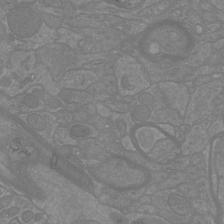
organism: Mouse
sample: Cortical neurons